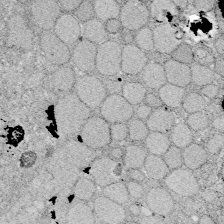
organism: Zebrafish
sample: Whole-Brain